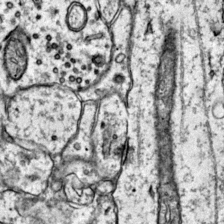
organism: Mouse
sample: Primary visual cortex